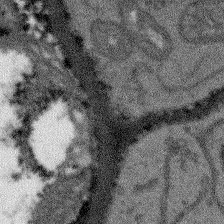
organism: Arabidopsis thaliana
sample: Root tip